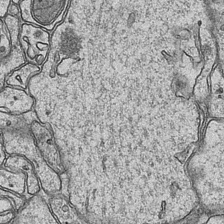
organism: Mouse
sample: CA1 Hippocampus